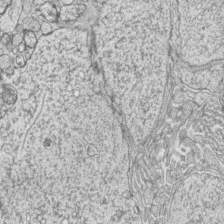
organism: Zebrafish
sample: synaptic ribbons in rod cells and cone cells